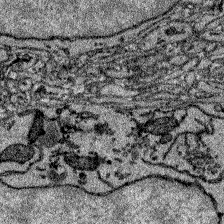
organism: Zebrafish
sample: Larval olfactory bulb